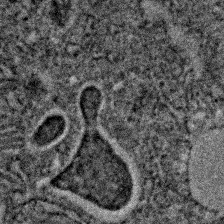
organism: C. elegans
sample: C. elegans embryo